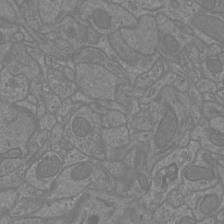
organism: Mouse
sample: Cortical neurons